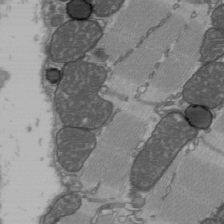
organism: C57BL Mouse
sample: Heart